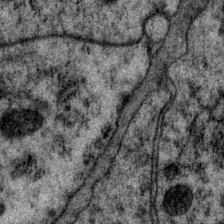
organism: P. pacificus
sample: Pharynx